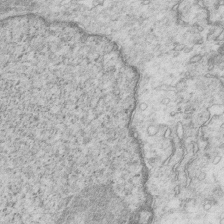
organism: Mouse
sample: Multiciliated cells